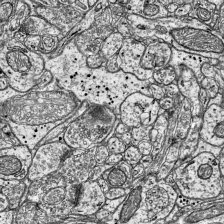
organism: Mouse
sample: Visual Cortex